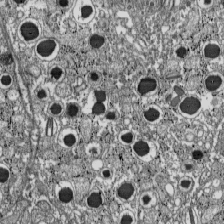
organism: C57BL Mouse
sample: Pancreatic islet